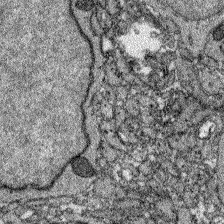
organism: Zebrafish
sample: Larval olfactory bulb